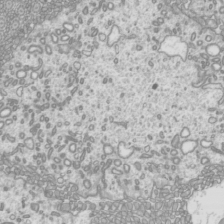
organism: Mouse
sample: Cilia; mouse epididymis